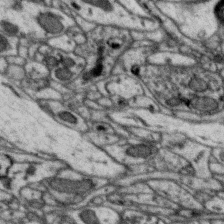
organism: Zebra finch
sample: Brain